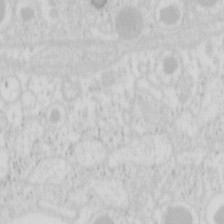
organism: Mouse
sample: Pancreas